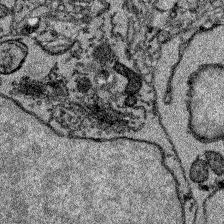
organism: Zebrafish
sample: Larval olfactory bulb